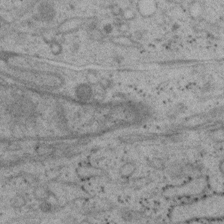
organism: Human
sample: HeLa cells